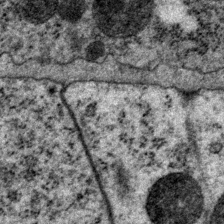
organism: P. pacificus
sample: Pharynx